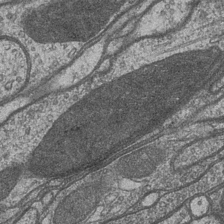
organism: Drosophila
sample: Optic medulla